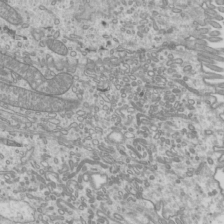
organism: Mouse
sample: Cilia; mouse epididymis